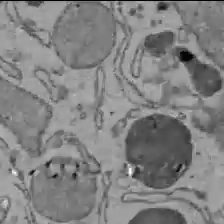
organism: C57BL Mouse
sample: Liver